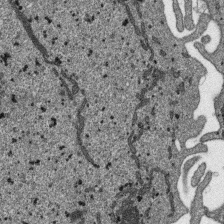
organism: Human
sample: Lung epithelial cells infected with SARS-CoV-2